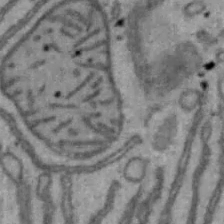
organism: Mouse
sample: Liver